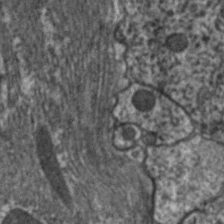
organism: C. elegans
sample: Pharynx